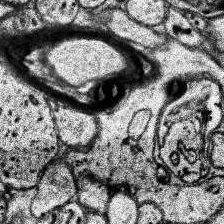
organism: Human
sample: Temporal Lobe